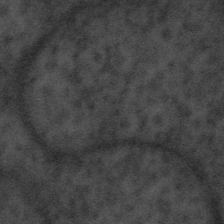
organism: Tuwongella immobilis